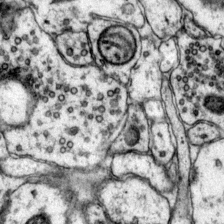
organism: Mouse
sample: Primary visual cortex